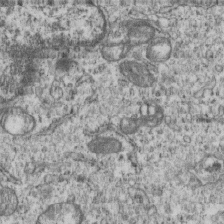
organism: Human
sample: MDA-MB-231 cells